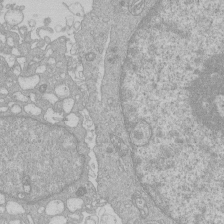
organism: Human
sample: Macrophage cells